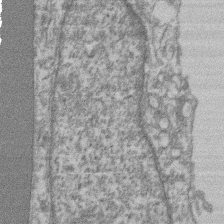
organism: Mouse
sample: T cell stromal cell synapse